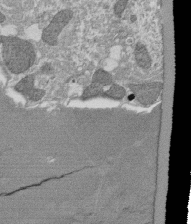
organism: Tetrahymena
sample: Cilia in tetrahymena